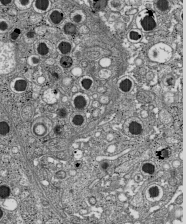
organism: C57BL Mouse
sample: Pancreatic islet